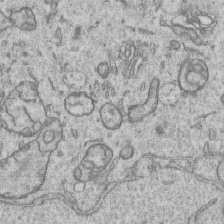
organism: Human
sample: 1205lu cells